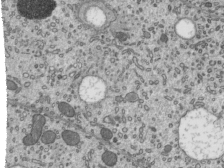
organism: Mouse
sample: Mouse epididymis efferent ductule cilia